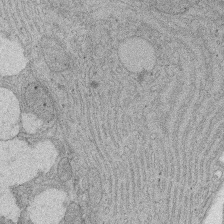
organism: Rat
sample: Salivary granule